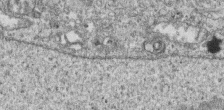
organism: Human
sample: HeLa cell HIV synapse